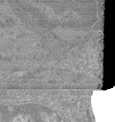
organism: Mouse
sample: Glomerulus